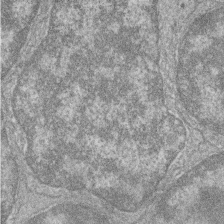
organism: Zebrafish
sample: Cilia; retinal pigment epithelium